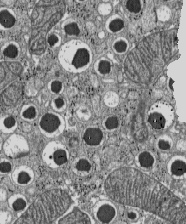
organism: C57BL Mouse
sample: Pancreatic islet